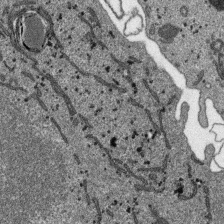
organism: Human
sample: Lung epithelial cells infected with SARS-CoV-2